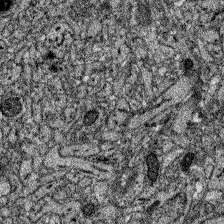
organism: Zebrafish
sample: Larval olfactory bulb